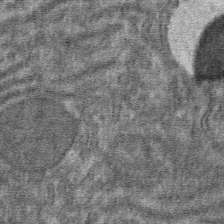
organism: Mouse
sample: Mouse hepatocytes